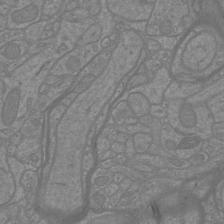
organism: Mouse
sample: Cortical neurons